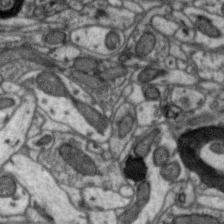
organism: Zebra finch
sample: Brain